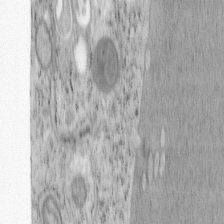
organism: Human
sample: HeLa cells